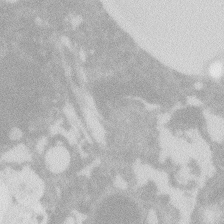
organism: Zebrafish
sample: Macrophage